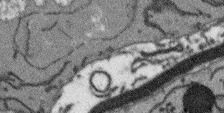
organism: Arabidopsis thaliana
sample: Root tip